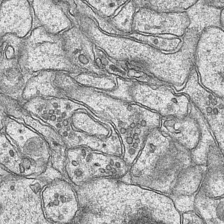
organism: Mouse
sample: CA1 Hippocampus